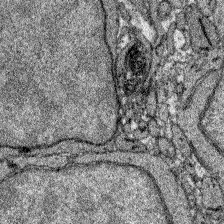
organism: Zebrafish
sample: Larval olfactory bulb